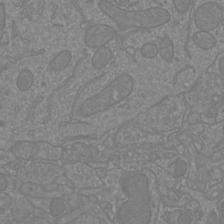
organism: Mouse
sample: Cortical neurons